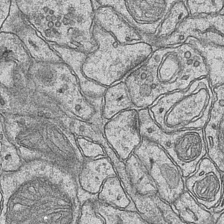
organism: Mouse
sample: CA1 Hippocampus